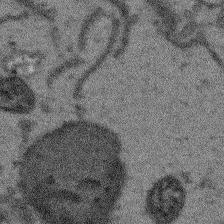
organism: Arabidopsis thaliana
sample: Root tip